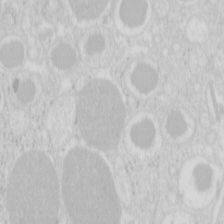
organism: Mouse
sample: Pancreas